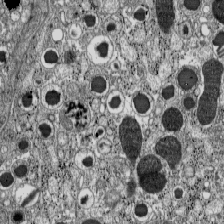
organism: C57BL Mouse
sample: Pancreatic islet